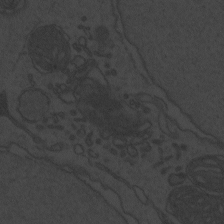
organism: Zebrafish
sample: Macrophage infected with Toxoplasma gondii